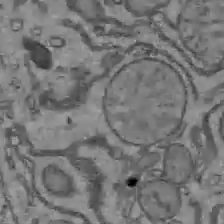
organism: C57BL Mouse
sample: Liver